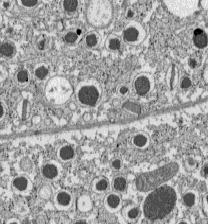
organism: C57BL Mouse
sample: Pancreatic islet